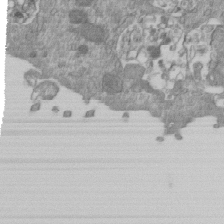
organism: Mouse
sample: ED-1 cell nuclei; centrioles